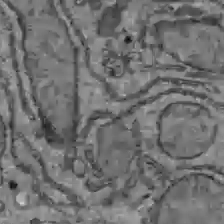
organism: C57BL Mouse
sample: Liver